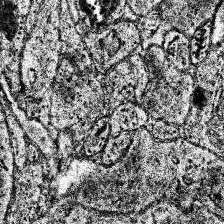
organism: Human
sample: Temporal Lobe